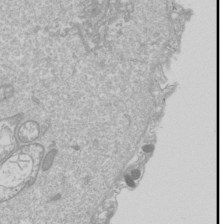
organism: Drosophila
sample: Cell division; meiosis; drosophila spermatocytes